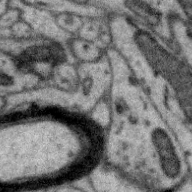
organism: Zebra finch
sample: Brain